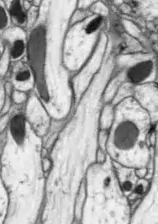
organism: Drosophila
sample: Optic lobe